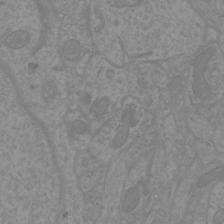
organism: Mouse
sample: Cortical neurons